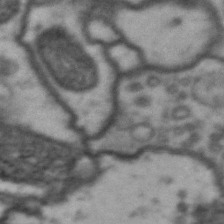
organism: Drosophila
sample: Brain